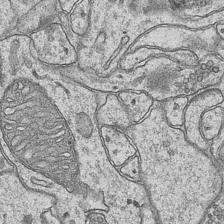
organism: Mouse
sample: CA1 Hippocampus